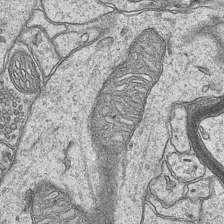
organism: Mouse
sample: CA1 Hippocampus